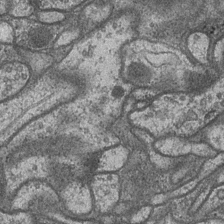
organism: Drosophila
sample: Optic medulla